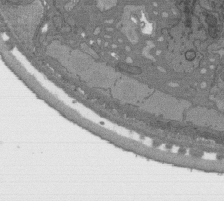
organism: C. elegans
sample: AFD neurons C. elegans